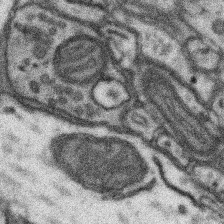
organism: Mouse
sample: Somatosensory cortex neuropil